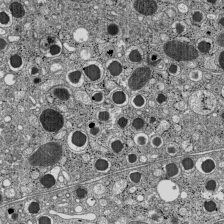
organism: C57BL Mouse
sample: Pancreatic islet